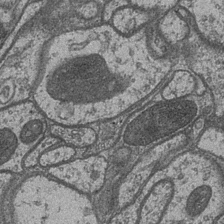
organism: Drosophila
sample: Optic medulla